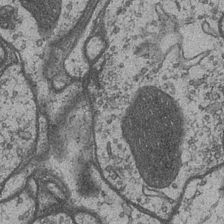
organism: Drosophila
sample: Optic medulla